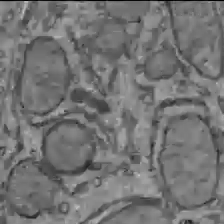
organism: C57BL Mouse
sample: Liver